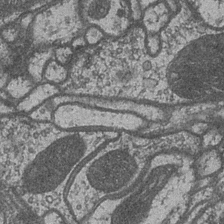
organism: Drosophila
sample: Optic medulla